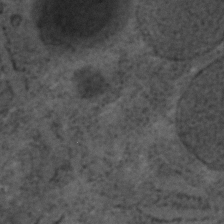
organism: C. elegans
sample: C. elegans embryo